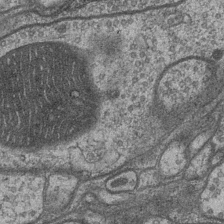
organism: Drosophila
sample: Optic medulla